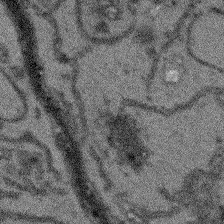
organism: Arabidopsis thaliana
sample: Root tip